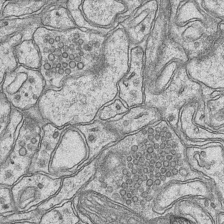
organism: Mouse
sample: CA1 Hippocampus